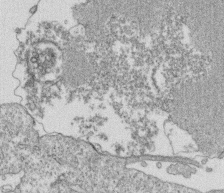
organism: Human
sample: HeLa cell HIV synapse